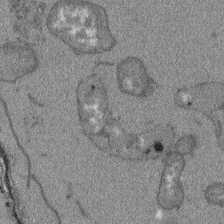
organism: Arabidopsis thaliana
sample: Root tip